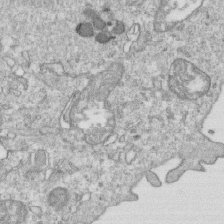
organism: Mouse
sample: Activated OT-1 CD8+ T cells